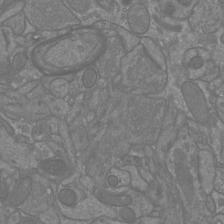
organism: Mouse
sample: Cortical neurons